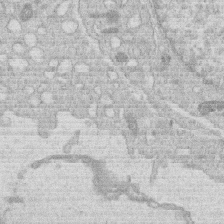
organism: Human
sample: Macrophage cells